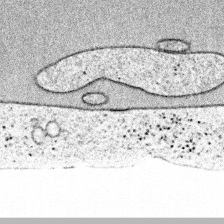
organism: Human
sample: HeLa cells